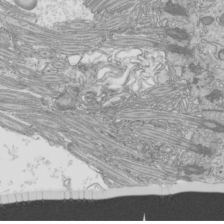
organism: Mouse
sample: Cilia; mouse epididymis